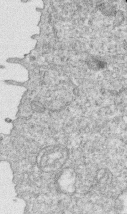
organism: Human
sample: HeLa cell HIV synapse